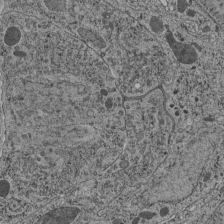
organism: C. elegans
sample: C. elegans pharynx